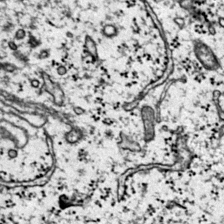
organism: Mouse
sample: Primary visual cortex